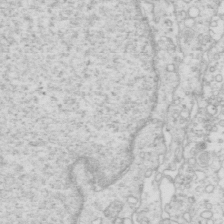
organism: Mouse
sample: Multiciliated cells